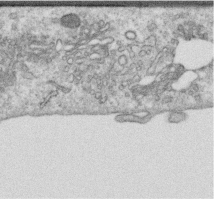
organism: Human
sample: Centriole in RPE cells